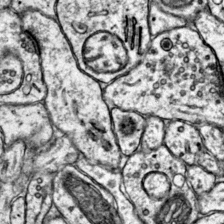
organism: Mouse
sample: Primary visual cortex